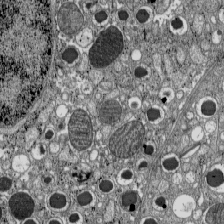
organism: C57BL Mouse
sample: Pancreatic islet